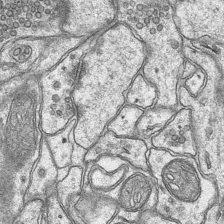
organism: Mouse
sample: CA1 Hippocampus